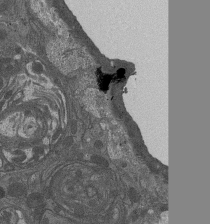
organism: Drosophila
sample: Antenna